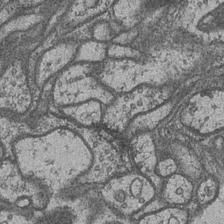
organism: Drosophila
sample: Optic medulla